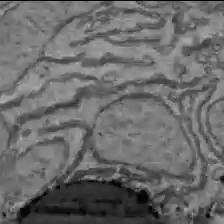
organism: C57BL Mouse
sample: Liver